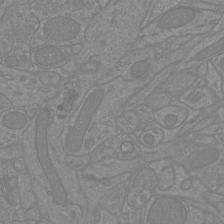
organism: Mouse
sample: Cortical neurons